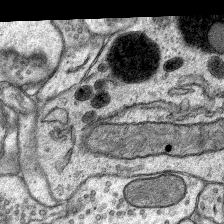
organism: Rat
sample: Hippocampus